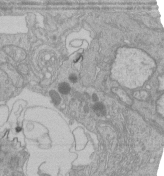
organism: Human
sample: Retinal organoid Rod and Cone cells